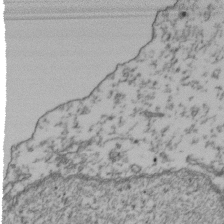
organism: Human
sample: Activated Jurkat CD4+ T cells